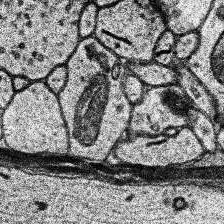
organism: Human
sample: Temporal Lobe